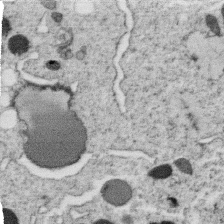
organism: C. elegans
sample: C. elegans oocyte; sperm cells